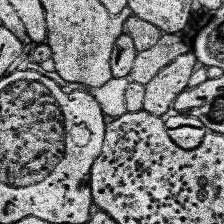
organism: Human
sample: Temporal Lobe